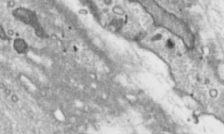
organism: Toxoplasma gondii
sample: Parasites in a vacuole inside a host cell